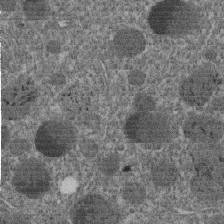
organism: C. elegans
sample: C. elegans embryo early stage